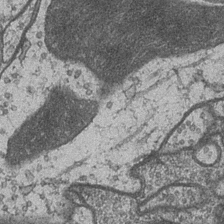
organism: Drosophila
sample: Optic medulla